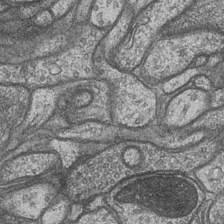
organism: Drosophila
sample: Optic medulla